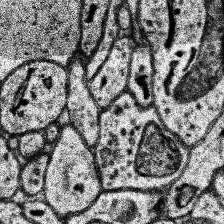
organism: Human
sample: Temporal Lobe